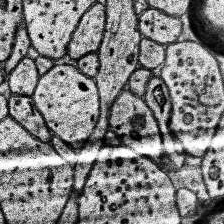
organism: Human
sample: Temporal Lobe